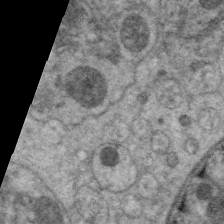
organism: C. elegans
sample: Pharynx